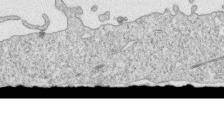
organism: Human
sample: HeLa cell HIV synapse